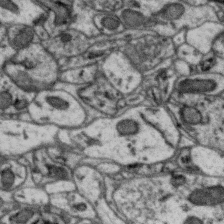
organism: Zebra finch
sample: Brain